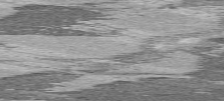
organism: C57BL Mouse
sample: Heart